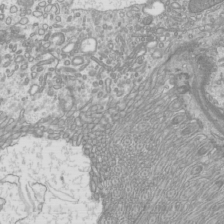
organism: Mouse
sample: Cilia; mouse epididymis